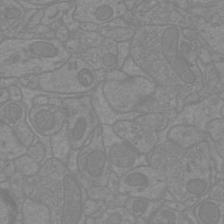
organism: Mouse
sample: Cortical neurons